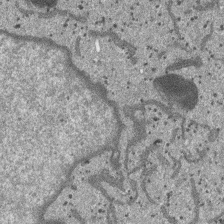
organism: Human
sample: Lung epithelial cells infected with SARS-CoV-2